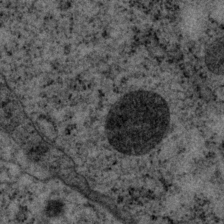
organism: P. pacificus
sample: Pharynx